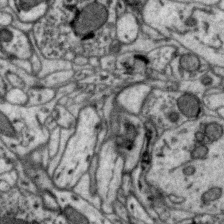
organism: Zebra finch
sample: Brain